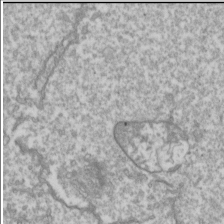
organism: Drosophila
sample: Cell division; meiosis; drosophila spermatocytes